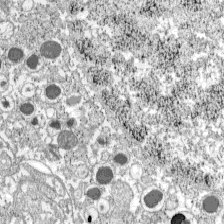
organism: C57BL Mouse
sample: Pancreatic islet